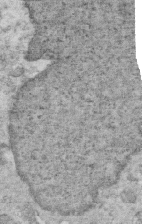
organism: Mouse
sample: Multiciliated cells